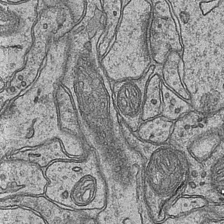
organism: Mouse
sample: CA1 Hippocampus